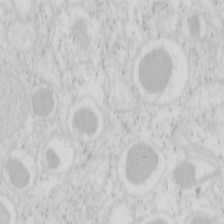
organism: Mouse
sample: Pancreas